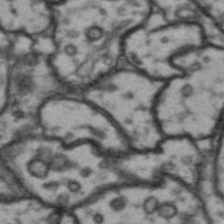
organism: Drosophila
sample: Brain